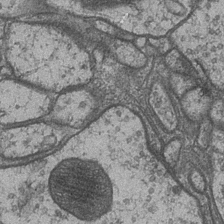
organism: Drosophila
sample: Optic medulla